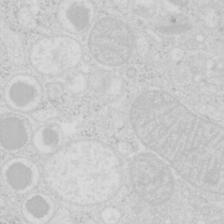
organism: Mouse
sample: Pancreas